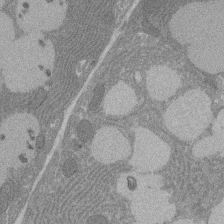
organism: Rat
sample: Salivary granule